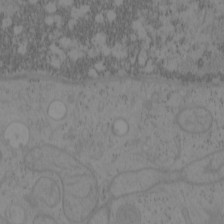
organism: Human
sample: HeLa cells